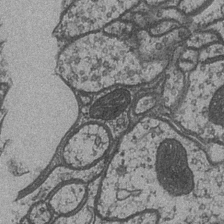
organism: Drosophila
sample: Optic medulla